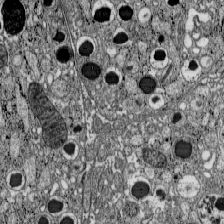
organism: C57BL Mouse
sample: Pancreatic islet